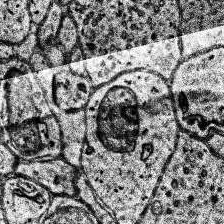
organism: Human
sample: Temporal Lobe